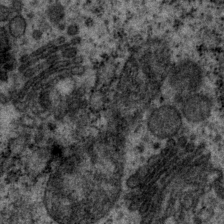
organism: P. pacificus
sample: Pharynx